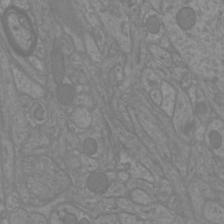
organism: Mouse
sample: Cortical neurons